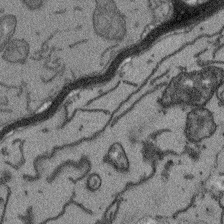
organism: Arabidopsis thaliana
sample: Root tip